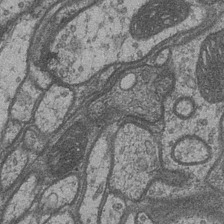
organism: Drosophila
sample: Optic medulla